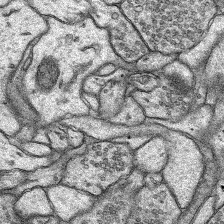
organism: Rat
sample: Hippocampus